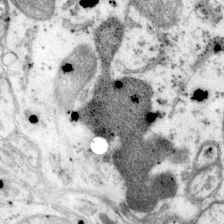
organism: Mouse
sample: Primary visual cortex